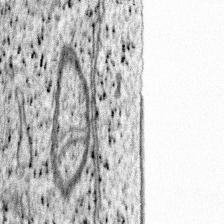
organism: Human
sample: HeLa cells